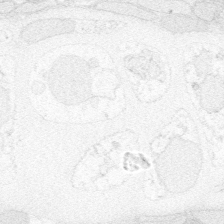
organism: Zebrafish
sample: Whole-Brain